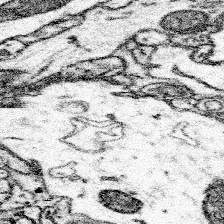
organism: Mouse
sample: Somatosensory cortex neuropil